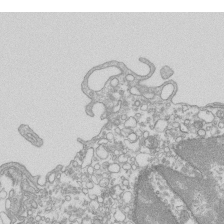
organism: Mouse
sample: Macrophages